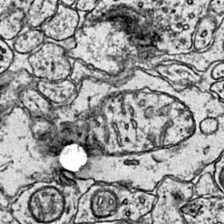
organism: Mouse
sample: Primary visual cortex